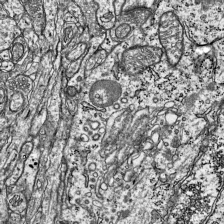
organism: Mouse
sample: Visual Cortex